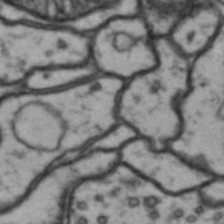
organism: Drosophila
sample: Brain